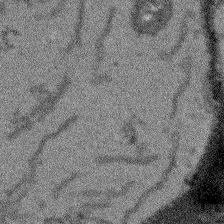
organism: Arabidopsis thaliana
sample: Root tip